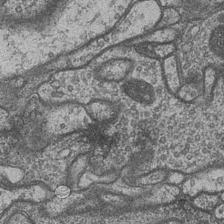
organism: Drosophila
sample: Optic medulla